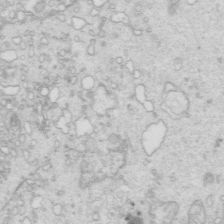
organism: Mouse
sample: Multiciliated cells